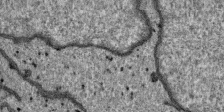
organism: Human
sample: Lung epithelial cells, uninfected (mock) control